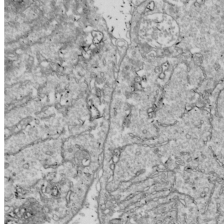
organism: Drosophila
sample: Cell division; meiosis; drosophila spermatocytes